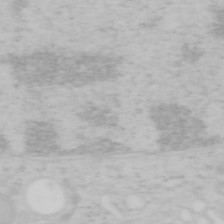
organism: Mouse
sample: OT-I killer T cells with ID8 ovarian cancer cells